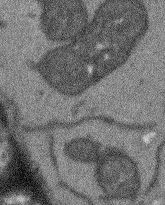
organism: Arabidopsis thaliana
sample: Root tip